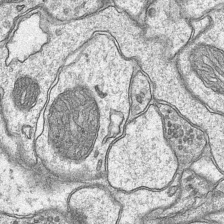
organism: Mouse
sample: CA1 Hippocampus